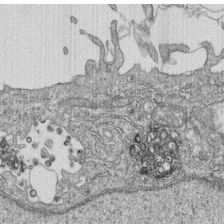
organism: Human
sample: HeLa cell HIV synapse